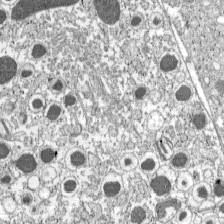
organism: C57BL Mouse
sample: Pancreatic islet